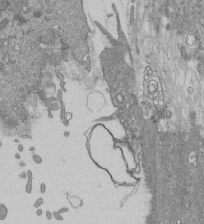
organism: Mouse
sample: ED-1 cell nuclei; centrioles